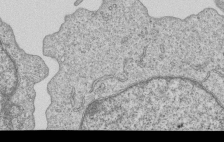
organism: Human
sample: MDA-MB-231 cells